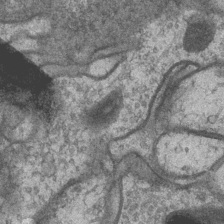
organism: Drosophila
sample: Optic medulla